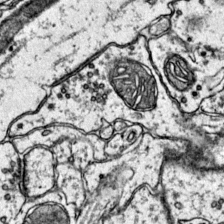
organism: Mouse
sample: Primary visual cortex